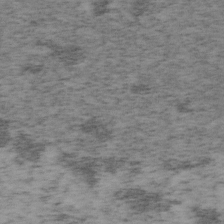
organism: Mouse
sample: OT-I killer T cells with ID8 ovarian cancer cells